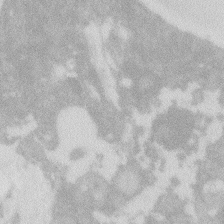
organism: Zebrafish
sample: Macrophage